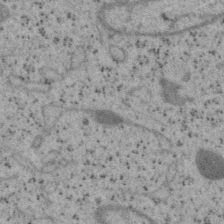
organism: Human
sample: HeLa cells